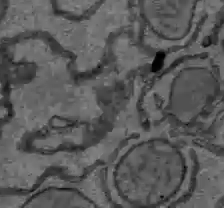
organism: C57BL Mouse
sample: Liver